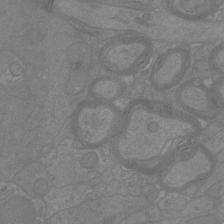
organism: Mouse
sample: Cortical neurons